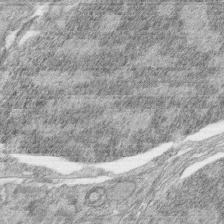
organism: Zebrafish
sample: synaptic ribbons in rod cells and cone cells